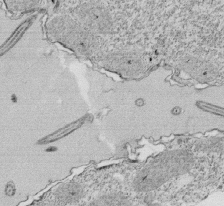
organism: Tetrahymena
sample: Cilia in tetrahymena